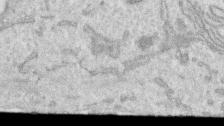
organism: Human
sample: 1205lu cells